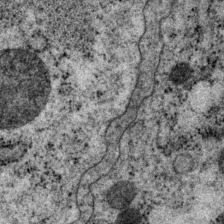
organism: P. pacificus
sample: Pharynx